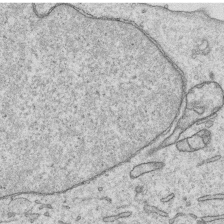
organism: Human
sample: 1205lu cells